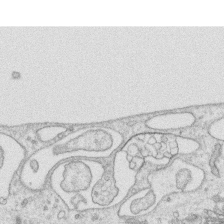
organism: Human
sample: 1205lu cells